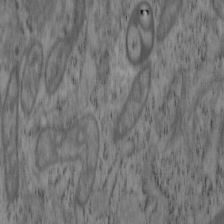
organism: Human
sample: HeLa cells